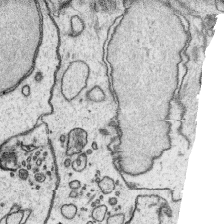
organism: Platynereis dumerilii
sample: Parapodia